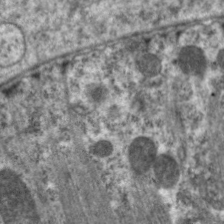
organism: C. elegans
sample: Pharynx